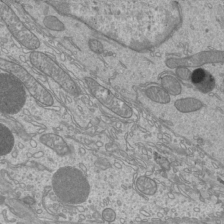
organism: Mouse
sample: Cilia; mouse epididymis